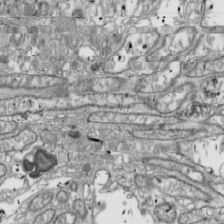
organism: Drosophila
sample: Cell division; meiosis; drosophila spermatocytes